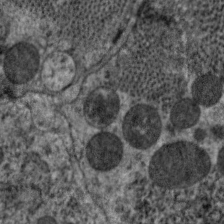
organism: C. elegans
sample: Pharynx